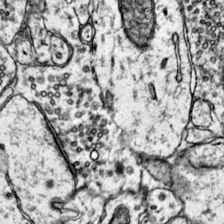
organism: Mouse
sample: Primary visual cortex